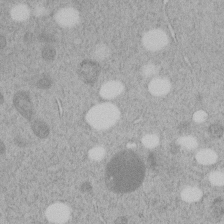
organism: C. elegans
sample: C. elegans embryo early stage